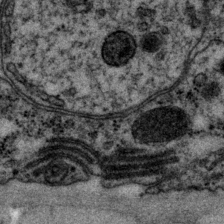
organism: P. pacificus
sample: Pharynx